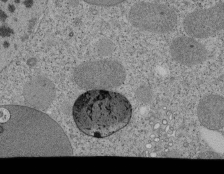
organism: Tetrahymena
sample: Cilia in tetrahymena